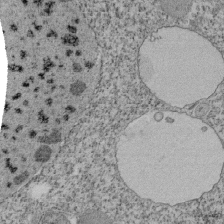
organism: Tetrahymena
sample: Cilia in tetrahymena